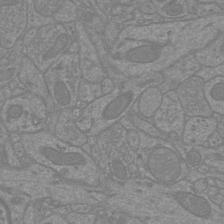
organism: Mouse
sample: Cortical neurons